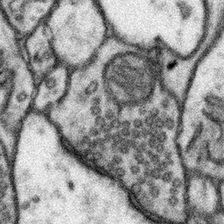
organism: Mouse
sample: Somatosensory cortex neuropil